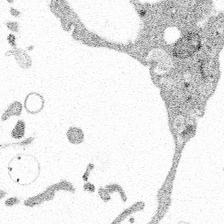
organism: Spongilla lacustris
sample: Multiple